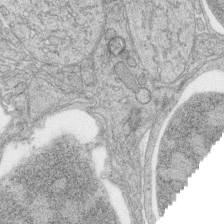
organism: Zebrafish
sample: synaptic ribbons in rod cells and cone cells